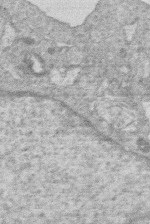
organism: Human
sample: Macrophage cells